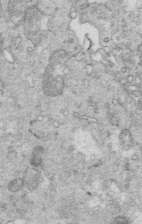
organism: Mouse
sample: Multiciliated cells